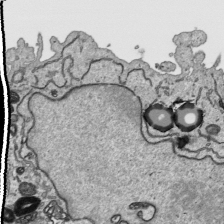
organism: Human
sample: Mitochondria in HCT116 cells